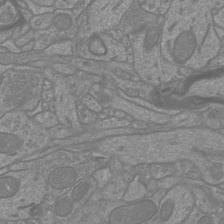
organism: Mouse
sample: Cortical neurons